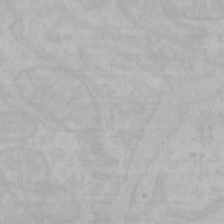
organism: Mouse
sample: Choroid plexus